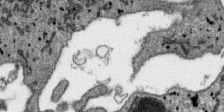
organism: Human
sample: Lung epithelial cells, uninfected (mock) control